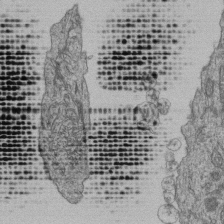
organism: Human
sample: Retinal organoid Rod and Cone cells